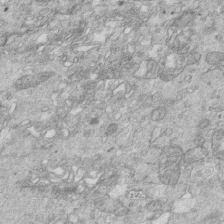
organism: Mouse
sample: Multiciliated cells